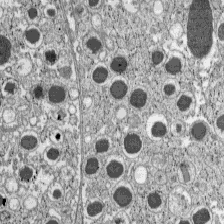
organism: C57BL Mouse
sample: Pancreatic islet